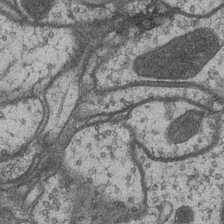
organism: Drosophila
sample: Optic medulla